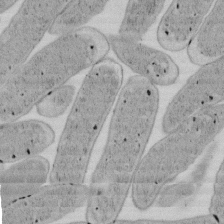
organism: E. coli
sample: Bacterial nucleoid